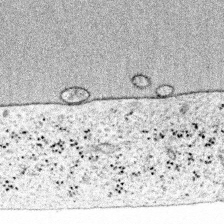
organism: Human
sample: HeLa cells